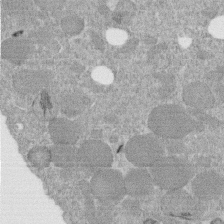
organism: C. elegans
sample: C. elegans embryo early stage